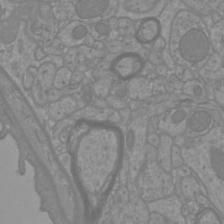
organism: Mouse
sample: Cortical neurons